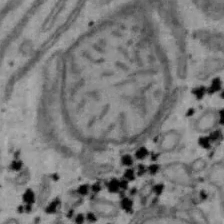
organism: Mouse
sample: Liver